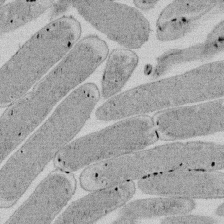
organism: E. coli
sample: Bacterial nucleoid